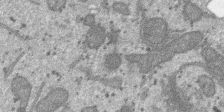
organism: Human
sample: Lung epithelial cells infected with SARS-CoV-2